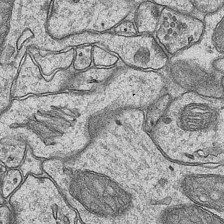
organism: Mouse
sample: CA1 Hippocampus